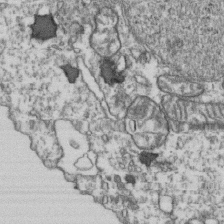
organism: Human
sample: Activated Jurkat CD4+ T cells